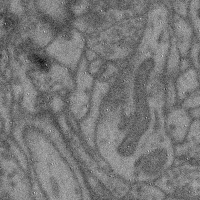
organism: Mouse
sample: Cerebral cortex